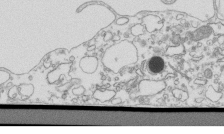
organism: Mouse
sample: Macrophages